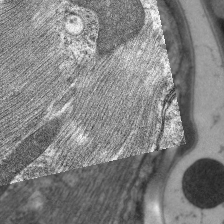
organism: C. elegans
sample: Pharynx